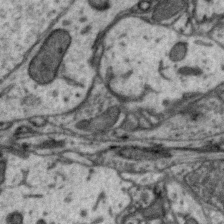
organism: Zebra finch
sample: Brain